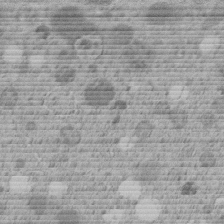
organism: C. elegans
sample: C. elegans embryo early stage